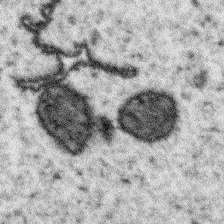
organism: Arabidopsis thaliana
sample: Root tip